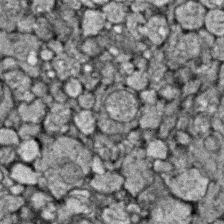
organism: Zebrafish